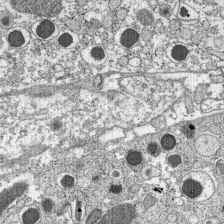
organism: C57BL Mouse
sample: Pancreatic islet